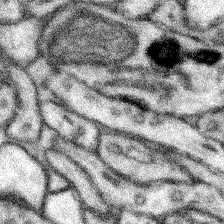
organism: Mouse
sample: Somatosensory cortex neuropil